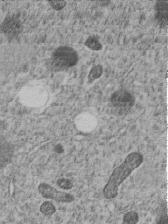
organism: C. elegans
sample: C. elegans embryo early stage